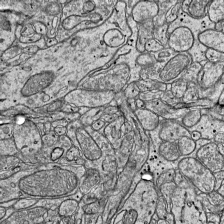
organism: Mouse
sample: Visual Cortex